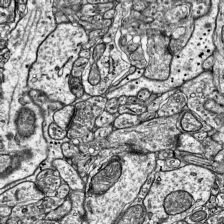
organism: Mouse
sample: Visual Cortex